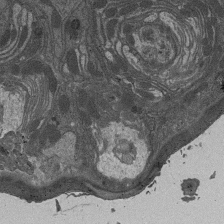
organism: Drosophila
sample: Antenna